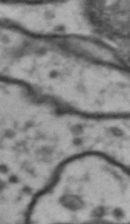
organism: Drosophila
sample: Brain